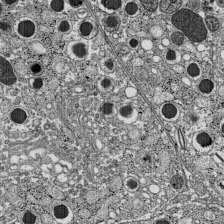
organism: C57BL Mouse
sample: Pancreatic islet